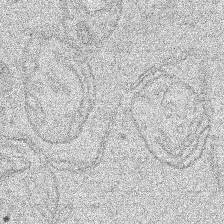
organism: Human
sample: Mitochondria in HCT116 cells